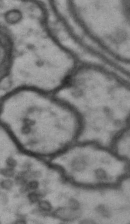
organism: Drosophila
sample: Brain